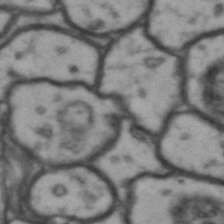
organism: Drosophila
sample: Brain